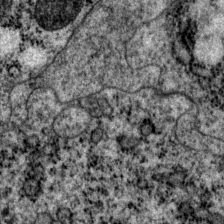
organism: P. pacificus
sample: Pharynx